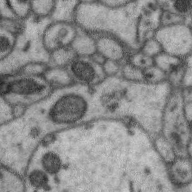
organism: Zebra finch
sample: Brain